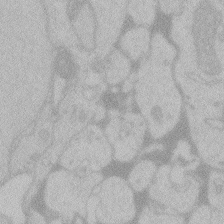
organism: Zebrafish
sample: Macrophage infected with Toxoplasma gondii